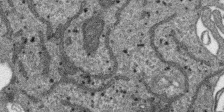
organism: Human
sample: Lung epithelial cells infected with SARS-CoV-2